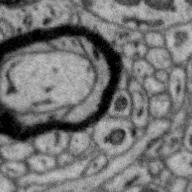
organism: Zebra finch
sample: Brain